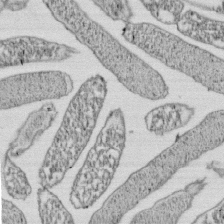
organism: E. coli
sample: Bacterial nucleoid